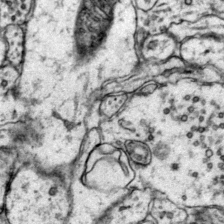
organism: Mouse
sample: Primary visual cortex